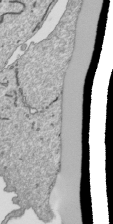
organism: Human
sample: Mitochondria in HCT116 cells